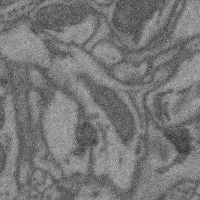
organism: Mouse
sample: Cerebral cortex